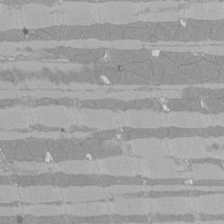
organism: Rat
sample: Left ventricle